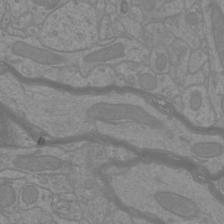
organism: Mouse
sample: Cortical neurons